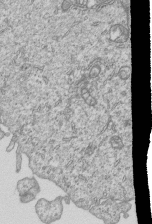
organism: Human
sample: MDA-MB-231 cells